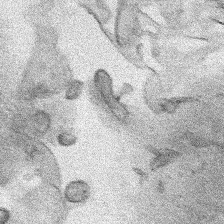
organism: Human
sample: Mitochondria in HCT116 cells